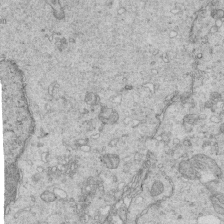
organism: Mouse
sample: Multiciliated cells